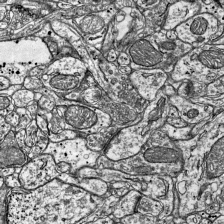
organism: Mouse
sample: Visual Cortex